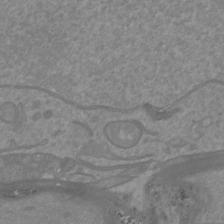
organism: Mouse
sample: Cortical neurons